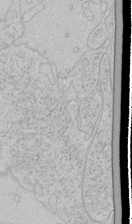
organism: Human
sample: Mitochondria in HCT116 cells